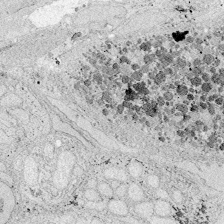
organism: Zebrafish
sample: Whole-Brain